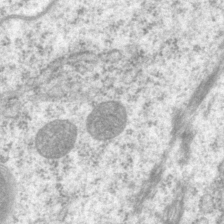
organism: P. pacificus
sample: Pharynx